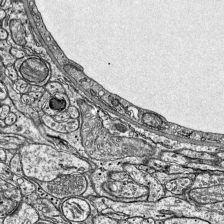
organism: Mouse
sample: Visual Cortex